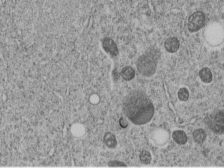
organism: C. elegans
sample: C. elegans embryo early stage